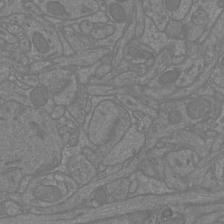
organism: Mouse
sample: Cortical neurons